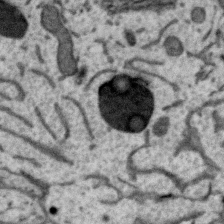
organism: Zebra finch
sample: Brain